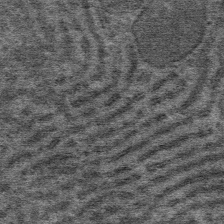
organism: Mouse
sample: Mouse Salivary gland